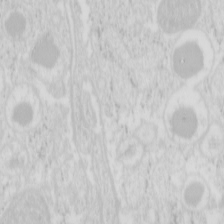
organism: Mouse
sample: Pancreas